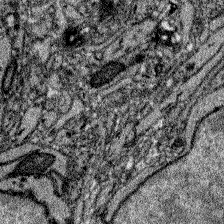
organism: Zebrafish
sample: Larval olfactory bulb